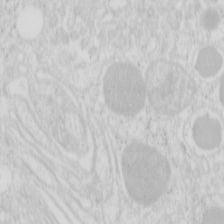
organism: Mouse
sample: Pancreas